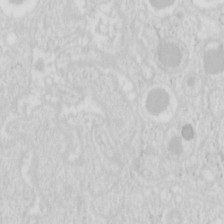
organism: Mouse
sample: Pancreas